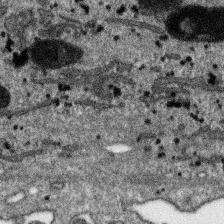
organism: Human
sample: Lung epithelial cells infected with SARS-CoV-2